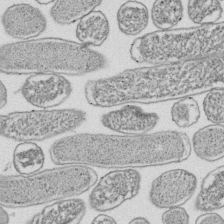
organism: E. coli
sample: Bacterial nucleoid